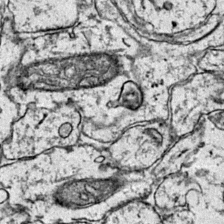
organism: Mouse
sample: Primary visual cortex